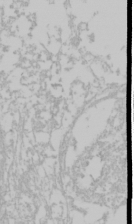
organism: Mouse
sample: Cancer cell death in ED-1 cells